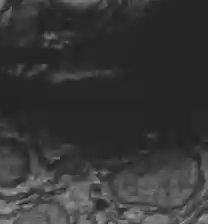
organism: C57BL Mouse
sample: Liver